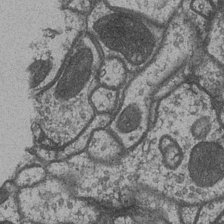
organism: Drosophila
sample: Optic medulla